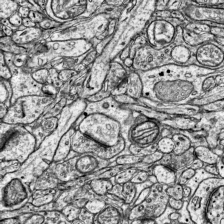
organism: Mouse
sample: Visual Cortex